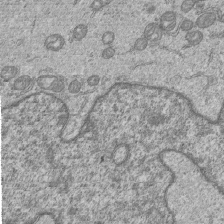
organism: Human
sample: MDA-MB-231 cells